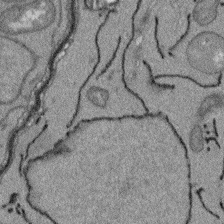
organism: Arabidopsis thaliana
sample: Root tip